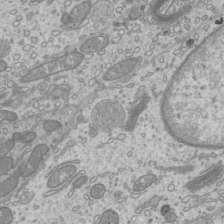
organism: Mouse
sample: Cilia; mouse epididymis